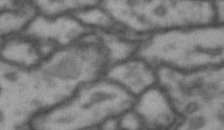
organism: Drosophila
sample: Brain